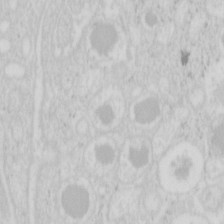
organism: Mouse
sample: Pancreas